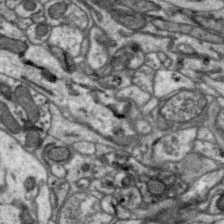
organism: Zebra finch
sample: Brain